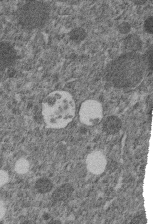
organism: C. elegans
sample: C. elegans embryo early stage